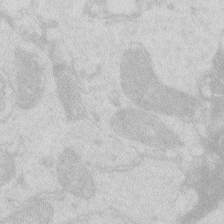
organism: Zebrafish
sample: Macrophage